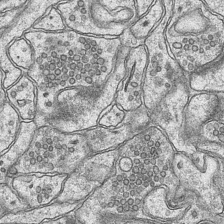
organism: Mouse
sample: CA1 Hippocampus